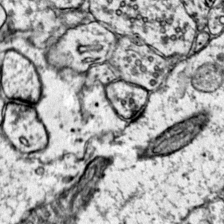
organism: Mouse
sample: Primary visual cortex